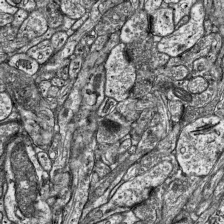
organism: Mouse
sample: Visual Cortex